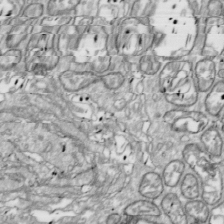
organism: Drosophila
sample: Cell division; meiosis; drosophila spermatocytes